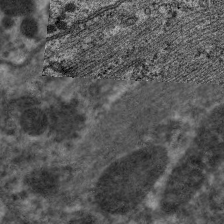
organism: C. elegans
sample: Pharynx